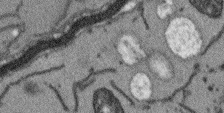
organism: Arabidopsis thaliana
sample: Root tip